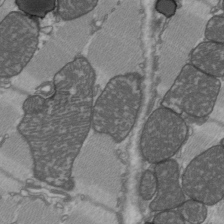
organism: C57BL Mouse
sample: Heart